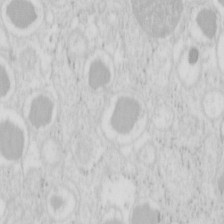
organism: Mouse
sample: Pancreas